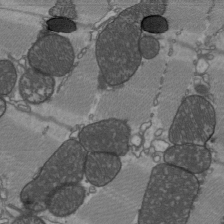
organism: C57BL Mouse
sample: Heart